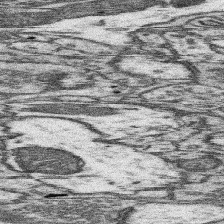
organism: Mouse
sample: Somatosensory cortex neuropil